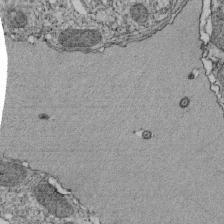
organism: Tetrahymena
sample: Cilia in tetrahymena